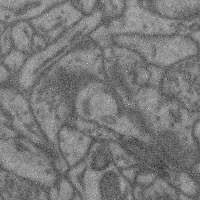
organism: Mouse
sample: Cerebral cortex